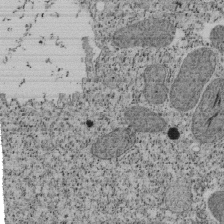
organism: Tetrahymena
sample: Cilia in tetrahymena